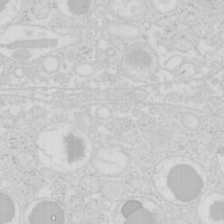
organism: Mouse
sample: Pancreas